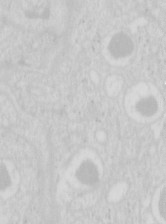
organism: Mouse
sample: Pancreas